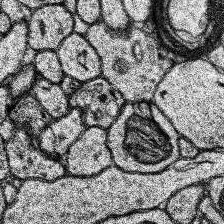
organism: Human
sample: Temporal Lobe